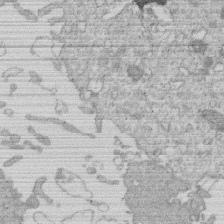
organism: Human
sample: Macrophage cells